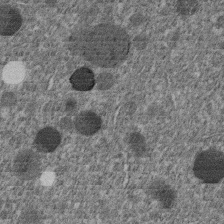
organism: C. elegans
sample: C. elegans embryo early stage